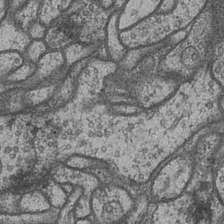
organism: Drosophila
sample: Optic medulla